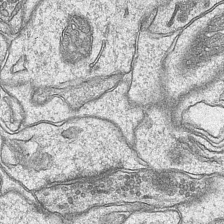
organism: Mouse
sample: CA1 Hippocampus